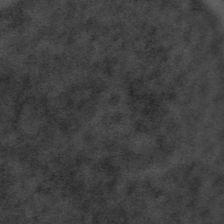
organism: Tuwongella immobilis